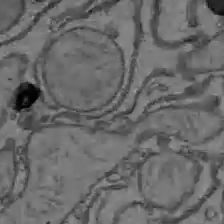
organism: C57BL Mouse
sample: Liver